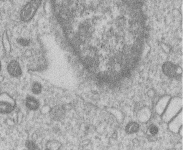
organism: Human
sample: Macrophage cells